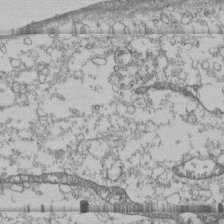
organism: Human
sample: Fibroblast cells